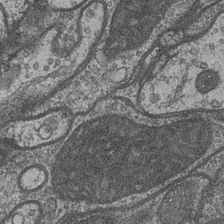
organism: Drosophila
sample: Optic medulla